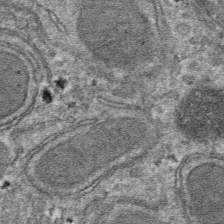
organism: Mouse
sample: Mouse hepatocytes